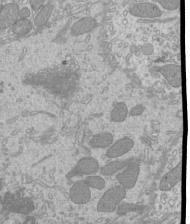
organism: Mouse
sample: Cilia; mouse epididymis